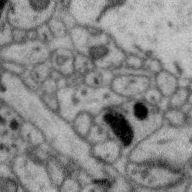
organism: Zebra finch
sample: Brain